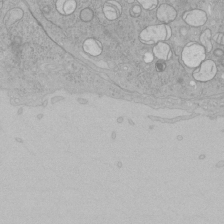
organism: Human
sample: Mitochondria in HCT116 cells